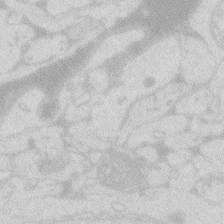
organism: Zebrafish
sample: Macrophage